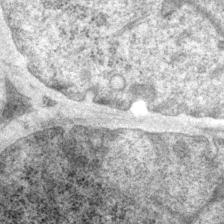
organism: P. pacificus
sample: Pharynx